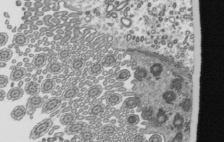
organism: Mouse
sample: Mouse epididymis efferent ductule cilia